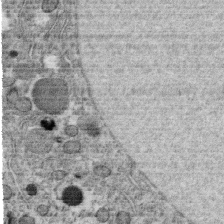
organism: C. elegans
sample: C. elegans oocyte; sperm cells